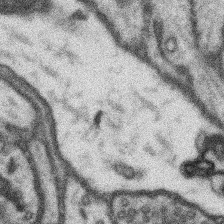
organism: Mouse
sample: Somatosensory cortex neuropil